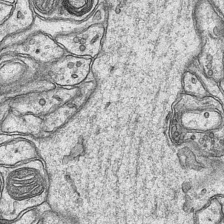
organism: Mouse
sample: CA1 Hippocampus